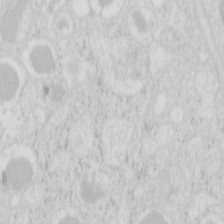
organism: Mouse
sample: Pancreas